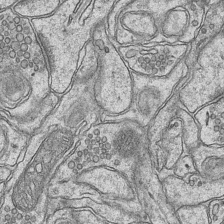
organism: Mouse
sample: CA1 Hippocampus